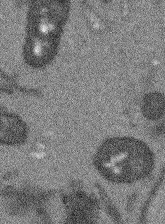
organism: Arabidopsis thaliana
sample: Root tip